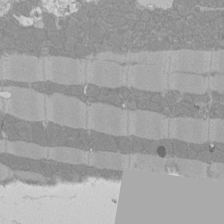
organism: Rat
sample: Left ventricle